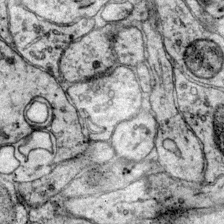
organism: Mouse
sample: Primary visual cortex